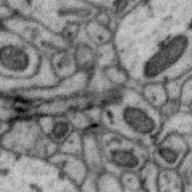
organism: Zebra finch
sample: Brain